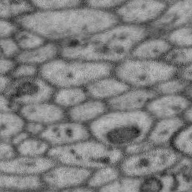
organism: Zebra finch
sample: Brain